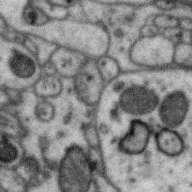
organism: Zebra finch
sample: Brain